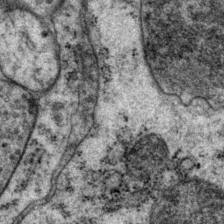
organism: P. pacificus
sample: Pharynx